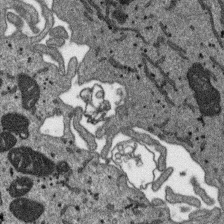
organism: Human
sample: Lung epithelial cells infected with SARS-CoV-2